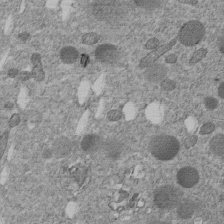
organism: C. elegans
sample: C. elegans embryo early stage